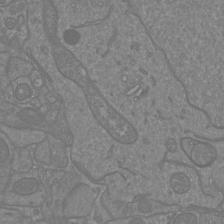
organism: Mouse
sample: Cortical neurons